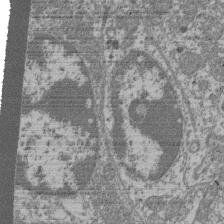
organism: Mouse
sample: Glomerulus